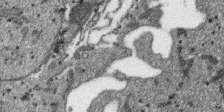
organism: Human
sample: Lung epithelial cells infected with SARS-CoV-2